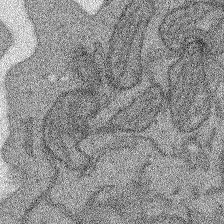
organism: Human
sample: HeLa cells